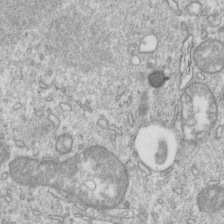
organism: Mouse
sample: Activated OT-1 CD8+ T cells